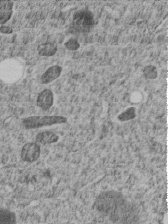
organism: C. elegans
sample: C. elegans embryo early stage